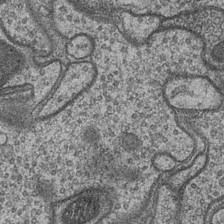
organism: Drosophila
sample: Optic medulla